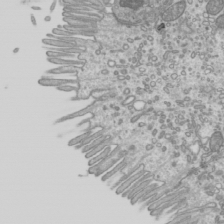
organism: Mouse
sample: Cilia; mouse epididymis